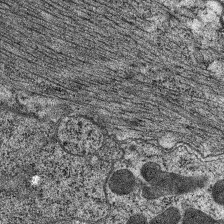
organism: C. elegans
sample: Pharynx